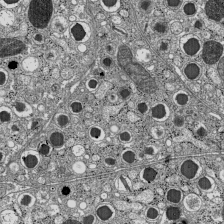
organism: C57BL Mouse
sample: Pancreatic islet